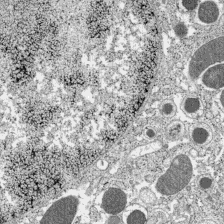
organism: C57BL Mouse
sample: Pancreatic islet